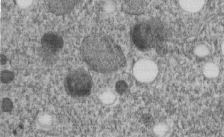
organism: C. elegans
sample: C. elegans embryo early stage